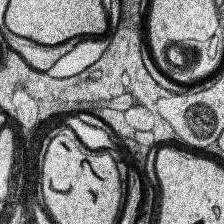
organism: Human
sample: Temporal Lobe